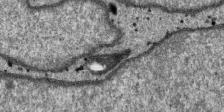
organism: Human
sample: Lung epithelial cells, uninfected (mock) control